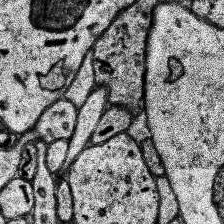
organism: Human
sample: Temporal Lobe